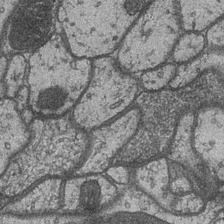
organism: Drosophila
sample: Optic medulla